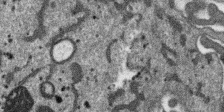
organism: Human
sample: Lung epithelial cells infected with SARS-CoV-2